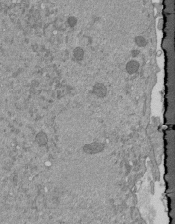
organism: Mouse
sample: ED-1 cell nuclei; centrioles